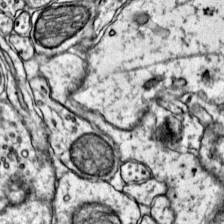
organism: Mouse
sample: Primary visual cortex